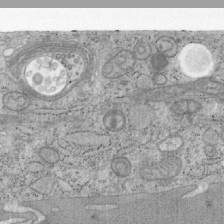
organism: Human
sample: HeLa cells